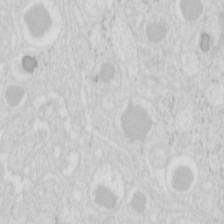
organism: Mouse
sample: Pancreas